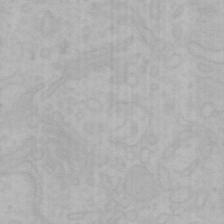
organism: Mouse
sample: Choroid plexus